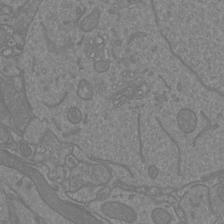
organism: Mouse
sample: Cortical neurons